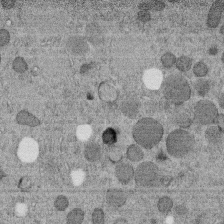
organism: C. elegans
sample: C. elegans embryo early stage